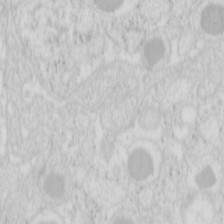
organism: Mouse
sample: Pancreas